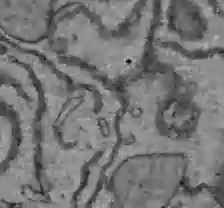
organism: C57BL Mouse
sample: Liver